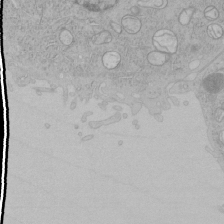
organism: Human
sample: Mitochondria in HCT116 cells